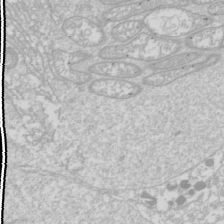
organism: Drosophila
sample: Cell division; meiosis; drosophila spermatocytes